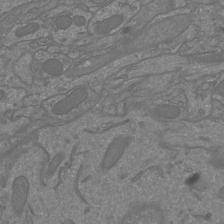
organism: Mouse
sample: Cortical neurons